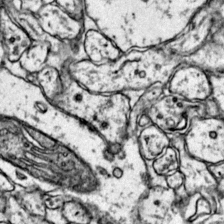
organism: Mouse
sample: Primary visual cortex